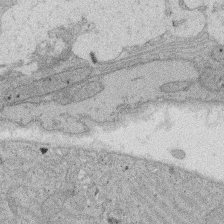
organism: Rat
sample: Salivary granule